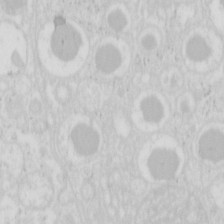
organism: Mouse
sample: Pancreas